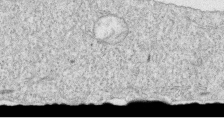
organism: Human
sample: HeLa cell HIV synapse